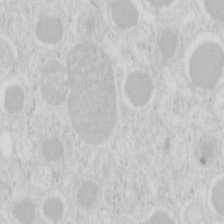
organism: Mouse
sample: Pancreas